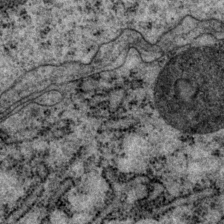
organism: P. pacificus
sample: Pharynx